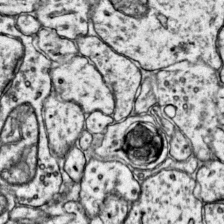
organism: Mouse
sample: Primary visual cortex